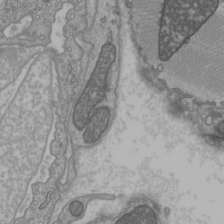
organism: C57BL Mouse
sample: Heart